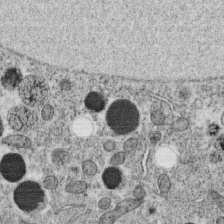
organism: C. elegans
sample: C. elegans oocyte; sperm cells